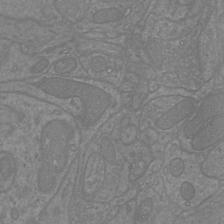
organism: Mouse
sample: Cortical neurons